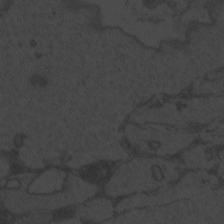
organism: Zebrafish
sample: Macrophage infected with Toxoplasma gondii